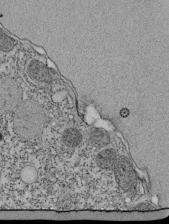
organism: Tetrahymena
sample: Cilia in tetrahymena